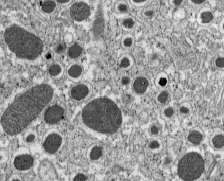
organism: C57BL Mouse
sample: Pancreatic islet